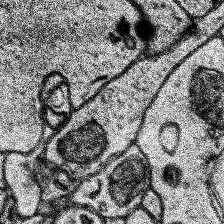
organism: Human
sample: Temporal Lobe